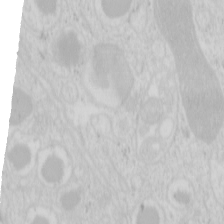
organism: Mouse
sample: Pancreas